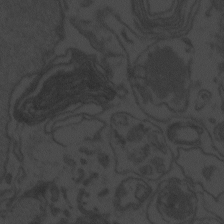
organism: Zebrafish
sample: Macrophage infected with Toxoplasma gondii